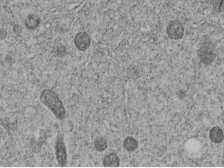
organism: C. elegans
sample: C. elegans embryo early stage